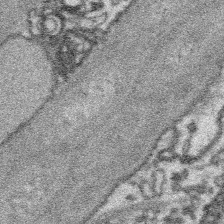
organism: Platynereis dumerilii